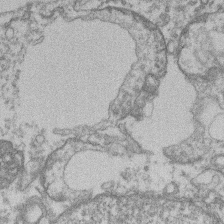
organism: Mouse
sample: T cell stromal cell synapse